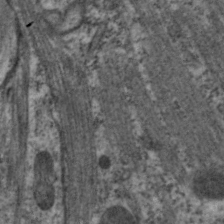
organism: C. elegans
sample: Pharynx